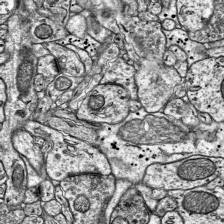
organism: Mouse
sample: Visual Cortex